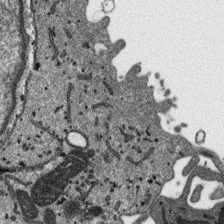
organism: Human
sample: Lung epithelial cells infected with SARS-CoV-2